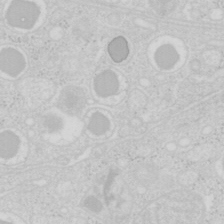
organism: Mouse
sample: Pancreas